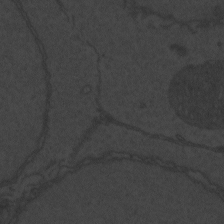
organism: Zebrafish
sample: Macrophage infected with Toxoplasma gondii